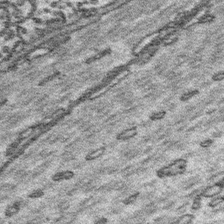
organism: Platynereis dumerilii